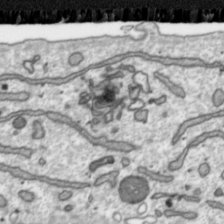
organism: Toxoplasma gondii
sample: Parasites in a vacuole inside a host cell